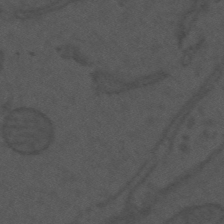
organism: Mouse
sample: Suprachiasmatic nucleus